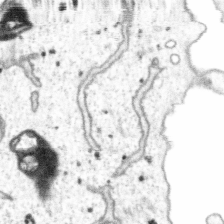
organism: Human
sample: HeLa cells